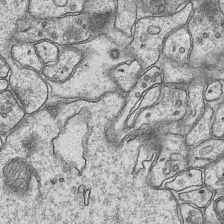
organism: Mouse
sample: CA1 Hippocampus